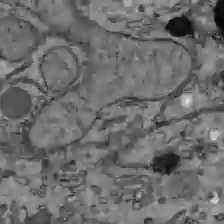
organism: C57BL Mouse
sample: Liver